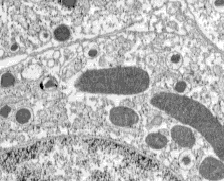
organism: C57BL Mouse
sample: Pancreatic islet